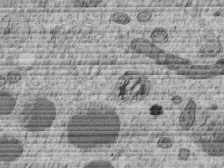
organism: C. elegans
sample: C. elegans embryo early stage